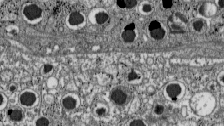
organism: C57BL Mouse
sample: Pancreatic islet